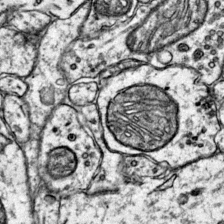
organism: Mouse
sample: Primary visual cortex